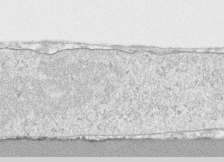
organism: Human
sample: CRL-1474